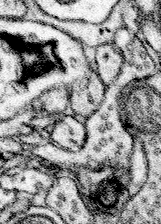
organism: Mouse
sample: Somatosensory cortex neuropil